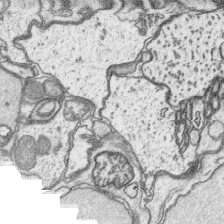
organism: Platynereis dumerilii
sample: Parapodia